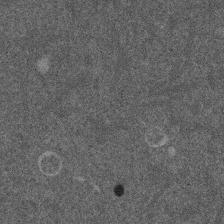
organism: Mouse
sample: Dividing mouse embryo 1 cell stage